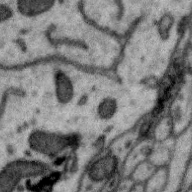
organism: Zebra finch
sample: Brain